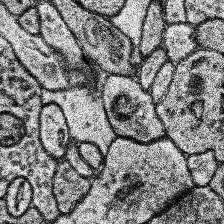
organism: Human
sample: Temporal Lobe